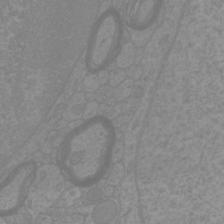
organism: Mouse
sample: Cortical neurons